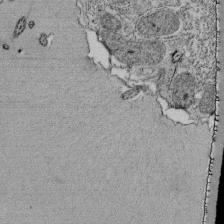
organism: Tetrahymena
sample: Cilia in tetrahymena